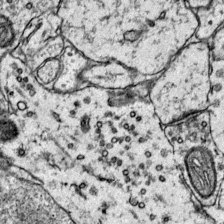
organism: Mouse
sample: Primary visual cortex